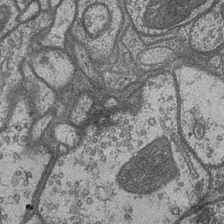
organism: Drosophila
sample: Optic medulla